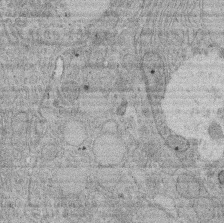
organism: Rat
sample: Salivary granule